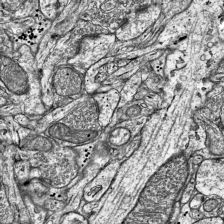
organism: Mouse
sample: Visual Cortex